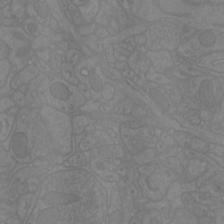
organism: Mouse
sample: Cortical neurons